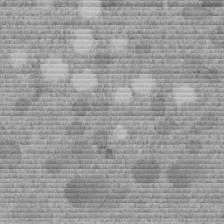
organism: C. elegans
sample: C. elegans embryo early stage